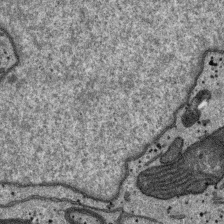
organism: Human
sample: Lung epithelial cells, uninfected (mock) control